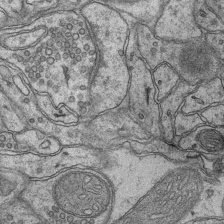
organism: Mouse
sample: CA1 Hippocampus